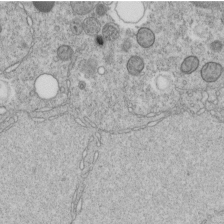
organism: C. elegans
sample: C. elegans embryo early stage